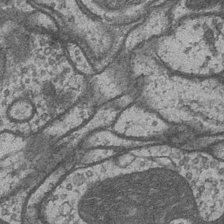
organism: Drosophila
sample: Optic medulla